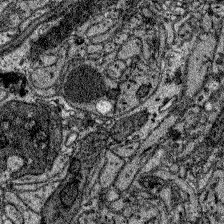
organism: Zebrafish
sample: Larval olfactory bulb